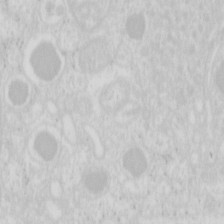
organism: Mouse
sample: Pancreas